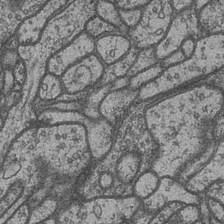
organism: Drosophila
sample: Optic medulla